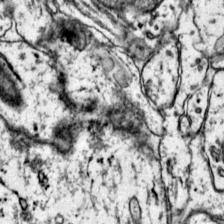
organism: Mouse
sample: Primary visual cortex